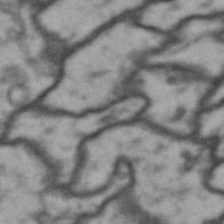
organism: Drosophila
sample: Brain